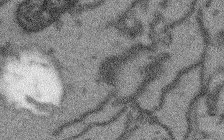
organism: Arabidopsis thaliana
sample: Root tip